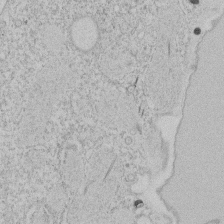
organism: Tetrahymena